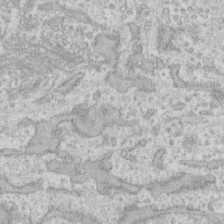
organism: Human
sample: Fibroblast cells